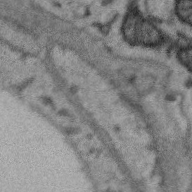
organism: Zebra finch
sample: Brain